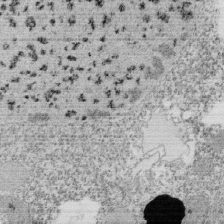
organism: Tetrahymena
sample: Cilia in tetrahymena